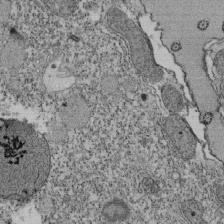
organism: Tetrahymena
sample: Cilia in tetrahymena